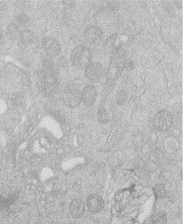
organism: Human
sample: Macrophage cells